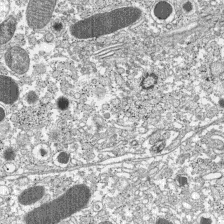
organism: C57BL Mouse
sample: Pancreatic islet